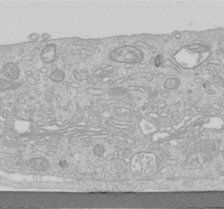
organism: Human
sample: Centriole in RPE cells